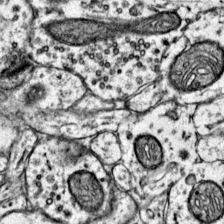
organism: Mouse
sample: Primary visual cortex